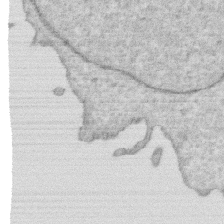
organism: Human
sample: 1205lu cells